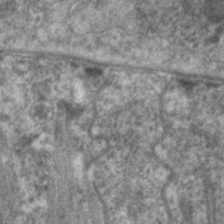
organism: C. elegans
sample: Pharynx